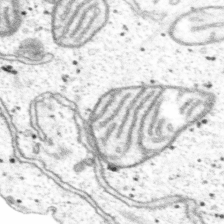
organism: Human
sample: HeLa cells